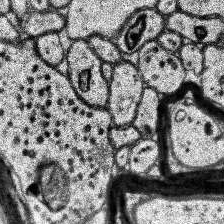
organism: Human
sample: Temporal Lobe